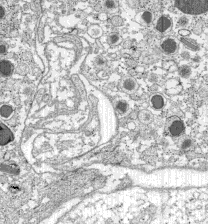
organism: C57BL Mouse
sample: Pancreatic islet